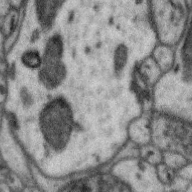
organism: Zebra finch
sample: Brain